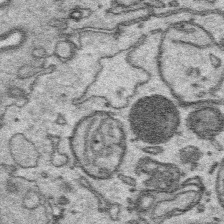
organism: Platynereis dumerilii